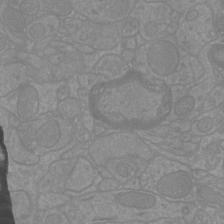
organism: Mouse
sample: Cortical neurons